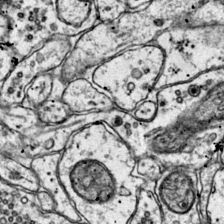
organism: Mouse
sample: Primary visual cortex